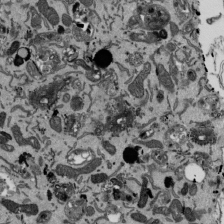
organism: Mouse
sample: ED-1 cell nuclei; centrioles